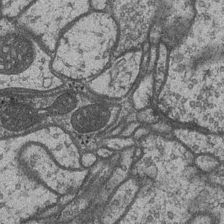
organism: Drosophila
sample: Optic medulla